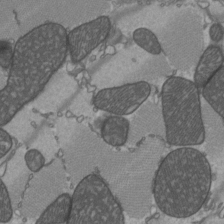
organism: C57BL Mouse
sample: Heart